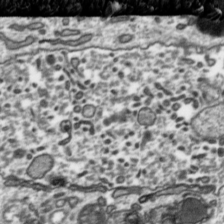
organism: Toxoplasma gondii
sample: Parasites in a vacuole inside a host cell